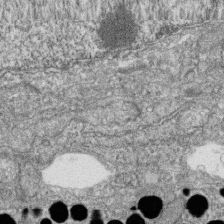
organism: Zebrafish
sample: Cilia; retinal pigment epithelium